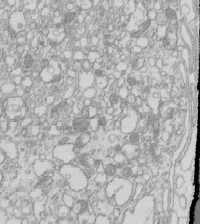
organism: Mouse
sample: Macrophages